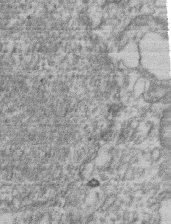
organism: Mouse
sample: T cell stromal cell synapse